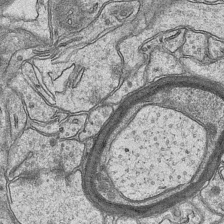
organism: Mouse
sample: CA1 Hippocampus